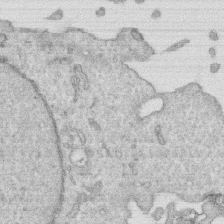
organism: Human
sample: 1205lu cells